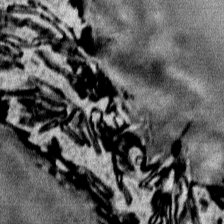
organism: Mouse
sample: Mouse Salivary gland